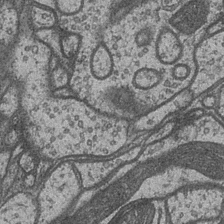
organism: Drosophila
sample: Optic medulla